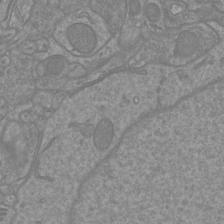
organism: Mouse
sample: Cortical neurons